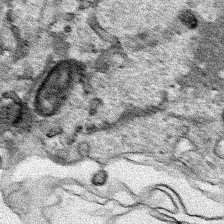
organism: Human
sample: Mitochondria in HCT116 cells